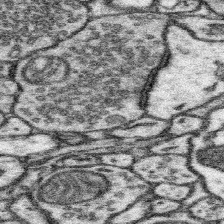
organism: Mouse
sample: Somatosensory cortex neuropil